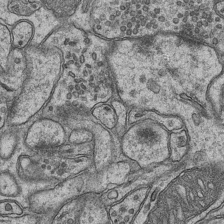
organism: Mouse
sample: CA1 Hippocampus